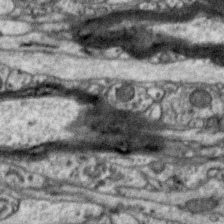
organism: Zebra finch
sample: Brain